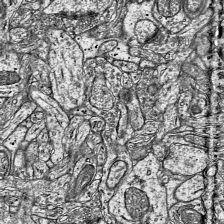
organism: Mouse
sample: Visual Cortex